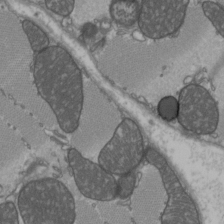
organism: C57BL Mouse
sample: Heart